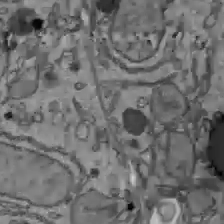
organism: C57BL Mouse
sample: Liver